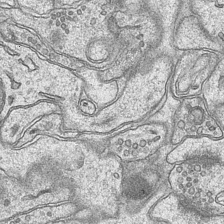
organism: Mouse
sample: CA1 Hippocampus